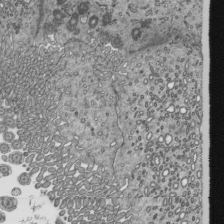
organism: Mouse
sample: Mouse epididymis efferent ductule cilia